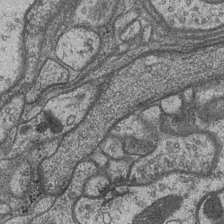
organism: Drosophila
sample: Optic medulla